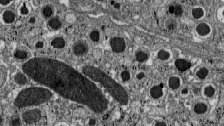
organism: C57BL Mouse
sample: Pancreatic islet